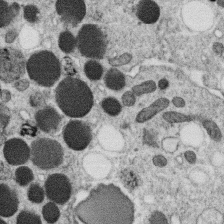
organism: C. elegans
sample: C. elegans oocyte; sperm cells